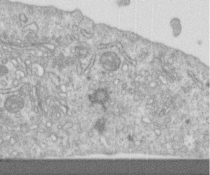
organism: Human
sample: Centriole in RPE cells